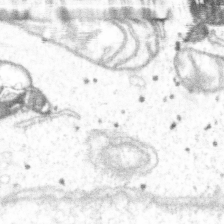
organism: Human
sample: HeLa cells